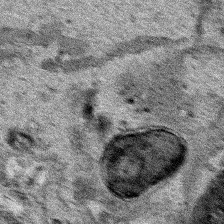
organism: Human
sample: Mitochondria in HCT116 cells